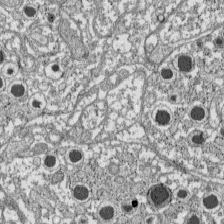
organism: C57BL Mouse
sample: Pancreatic islet